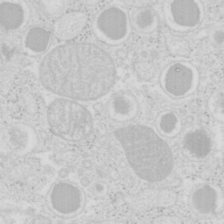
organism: Mouse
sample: Pancreas